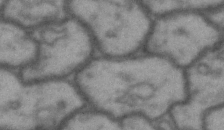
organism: Drosophila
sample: Brain